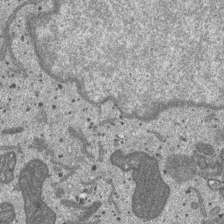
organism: Human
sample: Lung epithelial cells infected with SARS-CoV-2